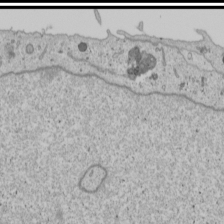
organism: Human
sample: Mitochondria in U2OS cells